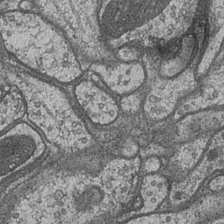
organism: Drosophila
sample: Optic medulla